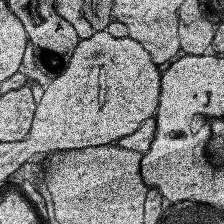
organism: Human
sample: Temporal Lobe